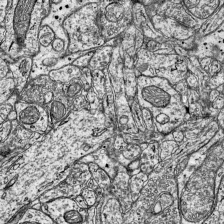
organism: Mouse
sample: Visual Cortex